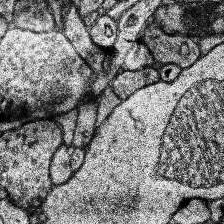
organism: Human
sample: Temporal Lobe